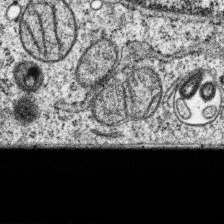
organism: Human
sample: HeLa cells